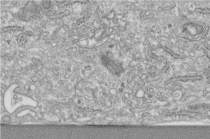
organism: Human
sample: Centriole in fibroblast cells